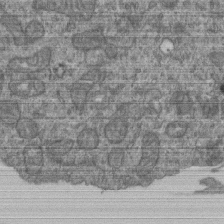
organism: Human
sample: Retinal organoid Rod and Cone cells